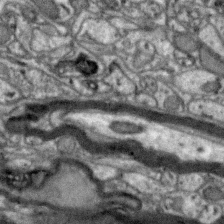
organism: Zebra finch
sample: Brain